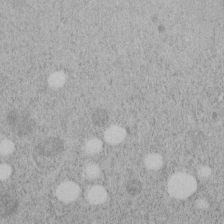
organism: C. elegans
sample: C. elegans embryo early stage